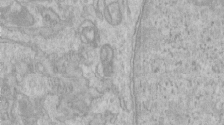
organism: Human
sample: Centriole in RPE cells